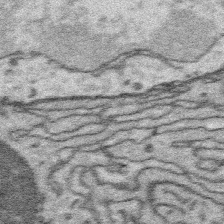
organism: Platynereis dumerilii